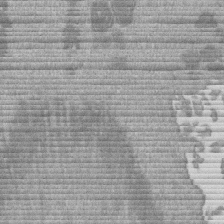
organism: Mouse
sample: Dividing mouse embryo 1 cell stage